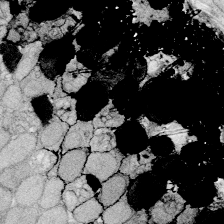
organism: Zebrafish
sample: Whole-Brain